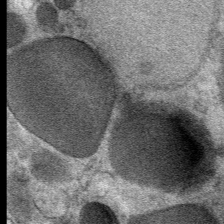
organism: Mouse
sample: Mouse Salivary gland